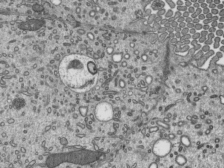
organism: Mouse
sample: Mouse epididymis efferent ductule cilia